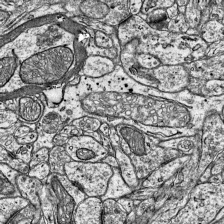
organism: Mouse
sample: Visual Cortex